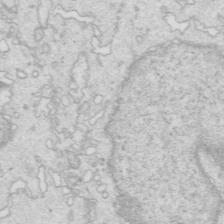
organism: Mouse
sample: Multiciliated cells